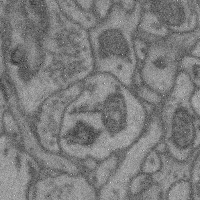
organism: Mouse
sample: Cerebral cortex